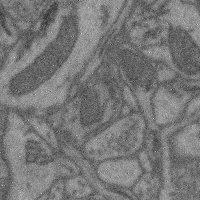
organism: Mouse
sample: Cerebral cortex